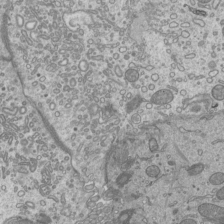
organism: Mouse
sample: Cilia; mouse epididymis